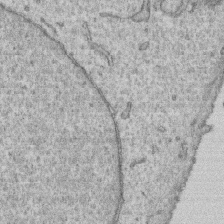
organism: Human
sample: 1205lu cells